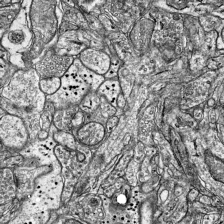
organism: Mouse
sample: Visual Cortex